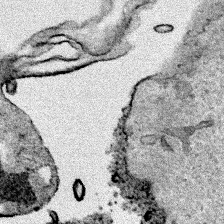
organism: Human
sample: Mitochondria in HCT116 cells